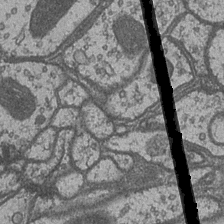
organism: Drosophila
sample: Optic medulla